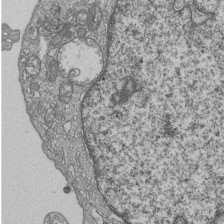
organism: Human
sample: MDA-MB-231 cells